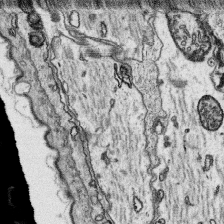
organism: Platynereis dumerilii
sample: Parapodia